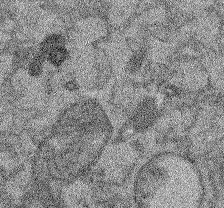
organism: Human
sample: HeLa cells